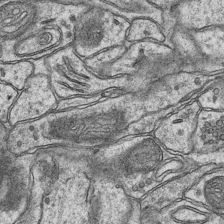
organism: Mouse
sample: CA1 Hippocampus